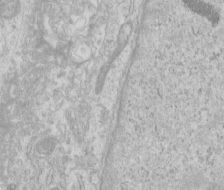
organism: Human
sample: Centriole in RPE cells